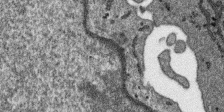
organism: Human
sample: Lung epithelial cells infected with SARS-CoV-2